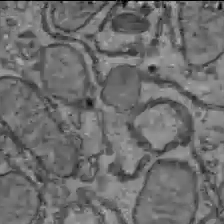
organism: C57BL Mouse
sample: Liver